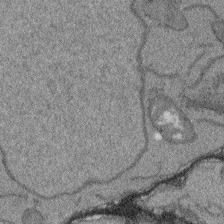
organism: Arabidopsis thaliana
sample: Root tip